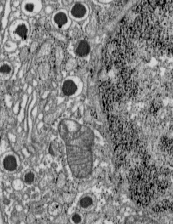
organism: C57BL Mouse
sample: Pancreatic islet